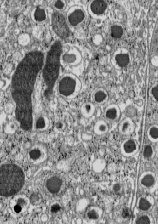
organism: C57BL Mouse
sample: Pancreatic islet